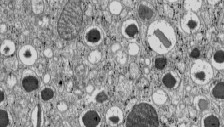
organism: C57BL Mouse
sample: Pancreatic islet